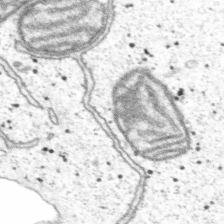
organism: Human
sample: HeLa cells